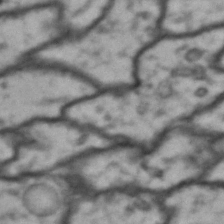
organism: Drosophila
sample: Brain